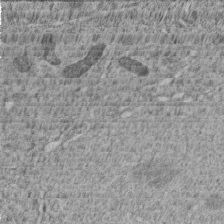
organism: C. elegans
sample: C. elegans embryo early stage